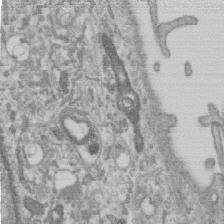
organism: Human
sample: Centriole in RPE cells